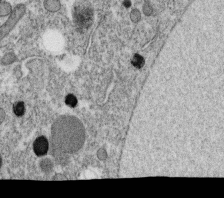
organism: C. elegans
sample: C. elegans oocyte; sperm cells